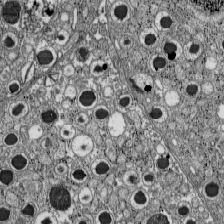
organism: C57BL Mouse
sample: Pancreatic islet